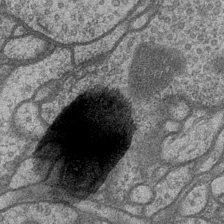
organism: Drosophila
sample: Optic medulla